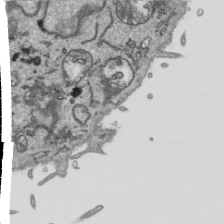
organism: Human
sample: Mitochondria in HCT116 cells